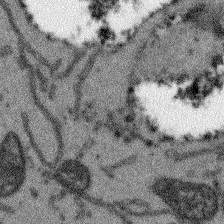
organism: Arabidopsis thaliana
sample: Root tip